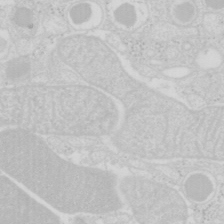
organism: Mouse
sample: Pancreas